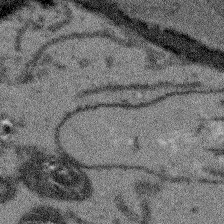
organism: Arabidopsis thaliana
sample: Root tip